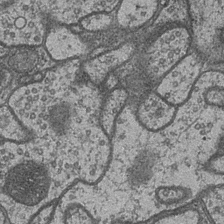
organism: Drosophila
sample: Optic medulla